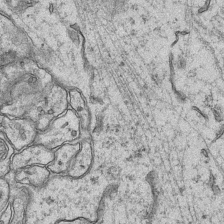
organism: Mouse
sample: CA1 Hippocampus